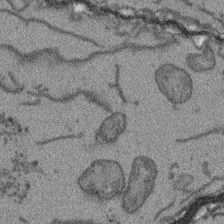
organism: Arabidopsis thaliana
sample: Root tip